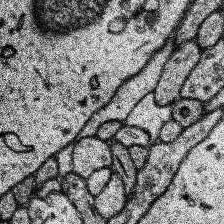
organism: Human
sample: Temporal Lobe